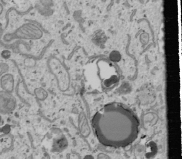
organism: Human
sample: Mitochondria in U2OS cells